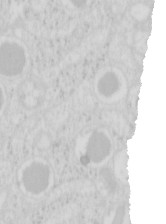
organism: Mouse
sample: Pancreas